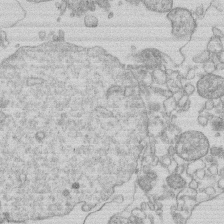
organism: Human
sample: Macrophage cells